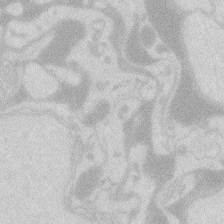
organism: Zebrafish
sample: Macrophage